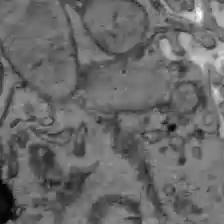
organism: C57BL Mouse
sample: Liver